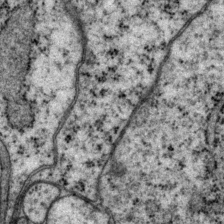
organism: P. pacificus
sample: Pharynx